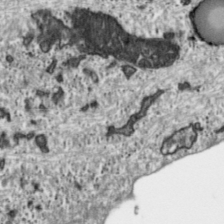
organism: Toxoplasma gondii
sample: Parasites in a vacuole inside a host cell